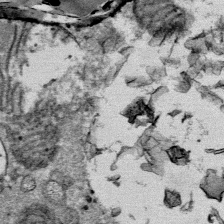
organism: Mouse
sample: Mouse Salivary gland